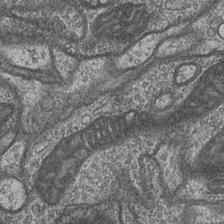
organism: Drosophila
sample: Optic medulla